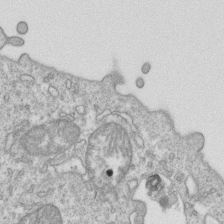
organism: Mouse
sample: Activated OT-1 CD8+ T cells